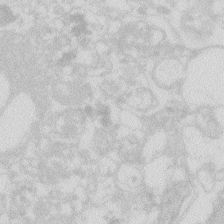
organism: Zebrafish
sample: Macrophage